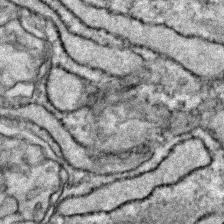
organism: Zebrafish